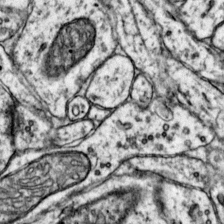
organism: Mouse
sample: Primary visual cortex